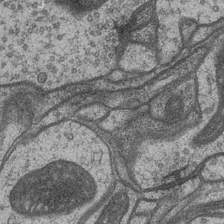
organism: Drosophila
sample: Optic medulla